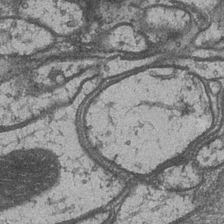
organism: Drosophila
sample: Optic medulla